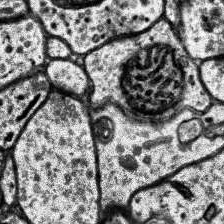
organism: Human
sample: Temporal Lobe